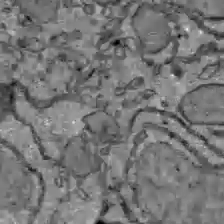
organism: C57BL Mouse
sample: Liver